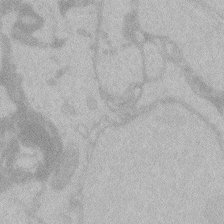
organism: Zebrafish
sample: Macrophage infected with Toxoplasma gondii